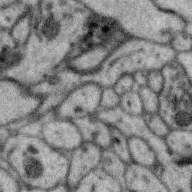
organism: Zebra finch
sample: Brain